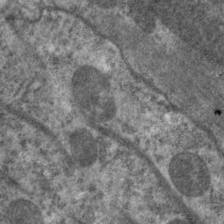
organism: C. elegans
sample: Pharynx